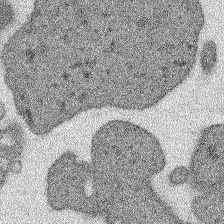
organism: Human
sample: HeLa cells